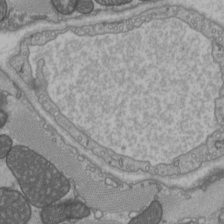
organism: C57BL Mouse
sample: Heart